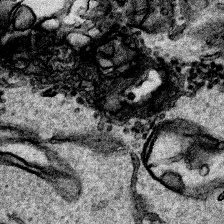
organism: Human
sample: Mitochondria in HCT116 cells